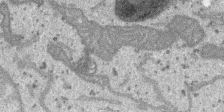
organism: Human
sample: Lung epithelial cells infected with SARS-CoV-2